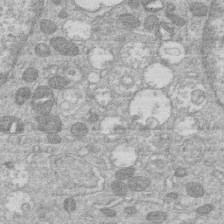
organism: Human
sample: Macrophage cells